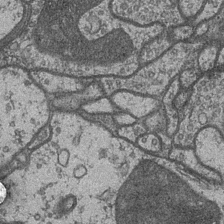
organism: Drosophila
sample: Optic medulla